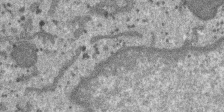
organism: Human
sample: Lung epithelial cells infected with SARS-CoV-2